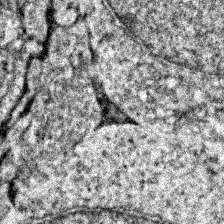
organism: Zebrafish